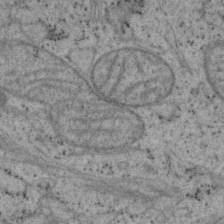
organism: Human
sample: HeLa cells